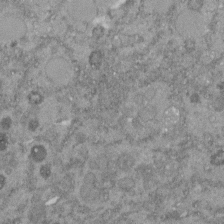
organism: C. elegans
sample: C. elegans embryo early stage